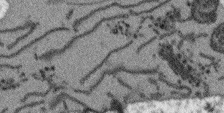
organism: Arabidopsis thaliana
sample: Root tip